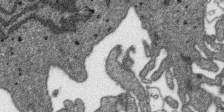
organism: Human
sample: Lung epithelial cells infected with SARS-CoV-2